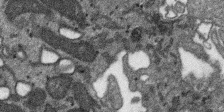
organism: Human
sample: Lung epithelial cells infected with SARS-CoV-2